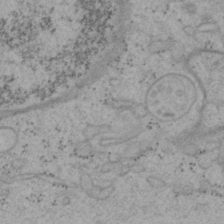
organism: Human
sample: HeLa cells